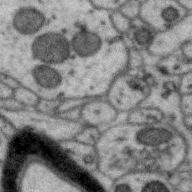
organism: Zebra finch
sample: Brain